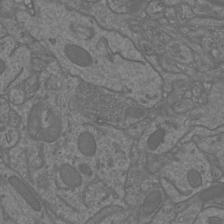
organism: Mouse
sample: Cortical neurons